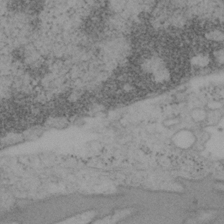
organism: Mouse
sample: OT-I killer T cells with ID8 ovarian cancer cells